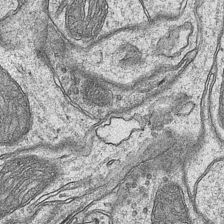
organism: Mouse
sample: CA1 Hippocampus